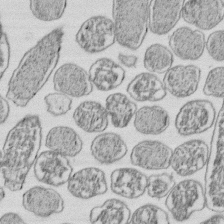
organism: E. coli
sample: Bacterial nucleoid